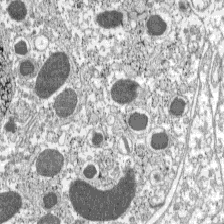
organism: C57BL Mouse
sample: Pancreatic islet